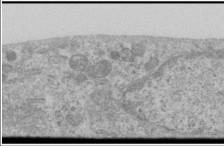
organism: Human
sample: Cilia; basal body in RPE cells